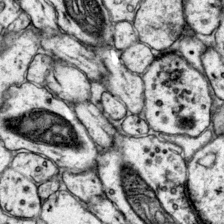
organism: Mouse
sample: Primary visual cortex